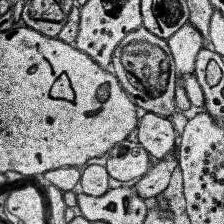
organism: Human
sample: Temporal Lobe